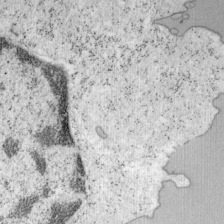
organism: Mouse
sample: OT-I killer T cells with ID8 ovarian cancer cells